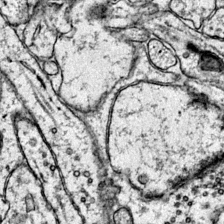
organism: Mouse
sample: Primary visual cortex